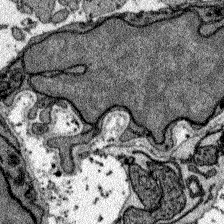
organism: Zebrafish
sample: Larval olfactory bulb